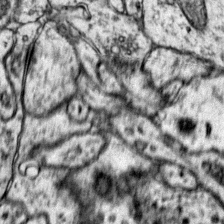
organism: Mouse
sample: Primary visual cortex